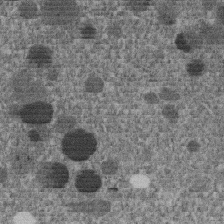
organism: C. elegans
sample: C. elegans embryo early stage